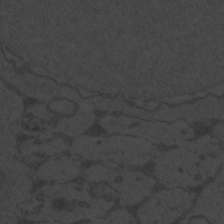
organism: Zebrafish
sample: Macrophage infected with Toxoplasma gondii